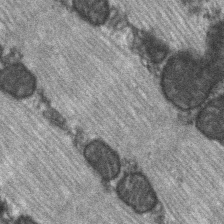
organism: C57BL Mouse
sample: Soleus